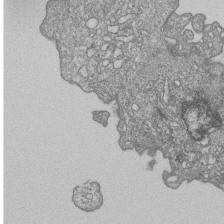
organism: Human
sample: MDA-MB-231 cells